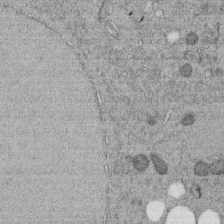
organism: C. elegans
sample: C. elegans embryo early stage